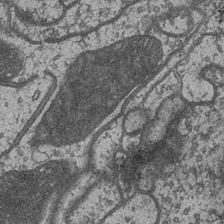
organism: Drosophila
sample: Optic medulla